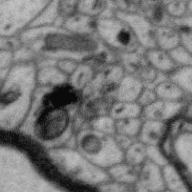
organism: Zebra finch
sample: Brain